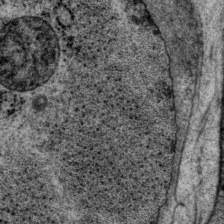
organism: P. pacificus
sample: Pharynx